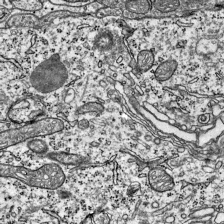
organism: Mouse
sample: Visual Cortex